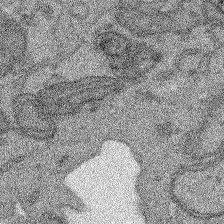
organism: Human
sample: HeLa cells